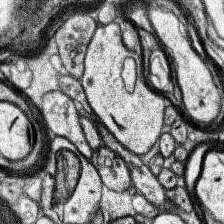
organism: Human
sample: Temporal Lobe